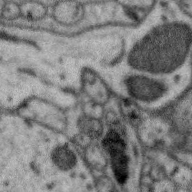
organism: Zebra finch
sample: Brain